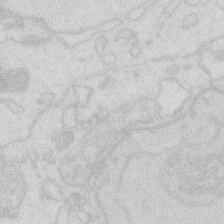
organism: Zebrafish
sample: Macrophage